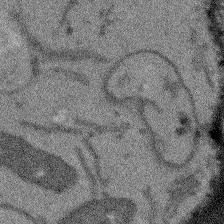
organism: Arabidopsis thaliana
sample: Root tip